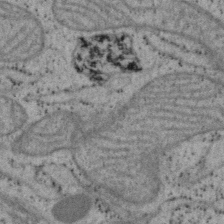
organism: Human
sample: HeLa cells